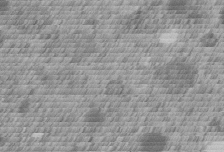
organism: C. elegans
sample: C. elegans embryo early stage